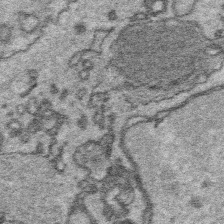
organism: Platynereis dumerilii